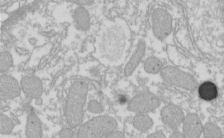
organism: Xenopus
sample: Cilia; centrioles in frog embryo cells